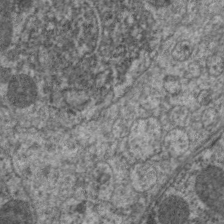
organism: C. elegans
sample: Pharynx